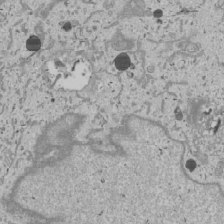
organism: Human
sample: Mitochondria in U2OS cells